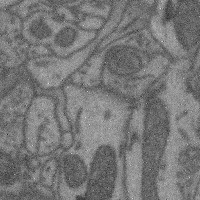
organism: Mouse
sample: Cerebral cortex